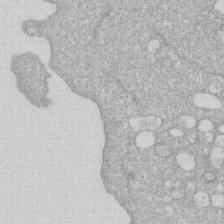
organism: Human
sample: HIV infected U937 cells